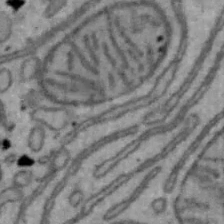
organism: Mouse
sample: Liver